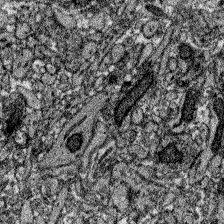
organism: Zebrafish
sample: Larval olfactory bulb